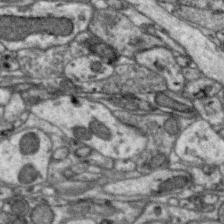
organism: Zebra finch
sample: Brain